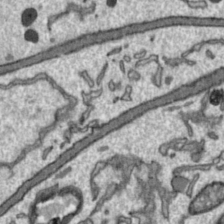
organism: Toxoplasma gondii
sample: Parasites in a vacuole inside a host cell